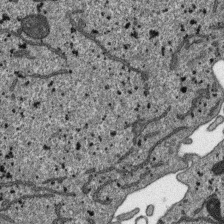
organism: Human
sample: Lung epithelial cells infected with SARS-CoV-2